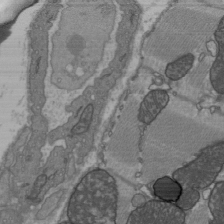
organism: C57BL Mouse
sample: Heart